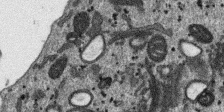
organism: Human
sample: Lung epithelial cells infected with SARS-CoV-2